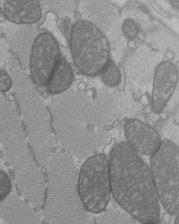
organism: C57BL Mouse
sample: Heart